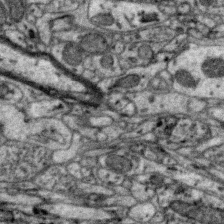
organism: Zebra finch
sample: Brain